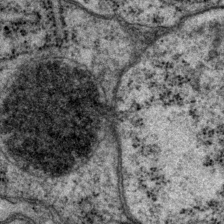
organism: P. pacificus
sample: Pharynx